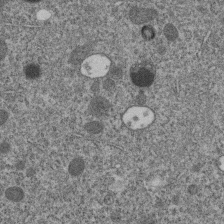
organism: C. elegans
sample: C. elegans embryo early stage